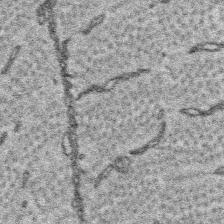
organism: Platynereis dumerilii